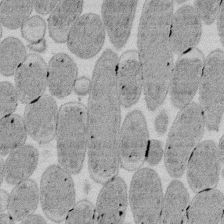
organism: E. coli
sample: Bacterial nucleoid